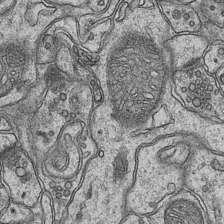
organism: Mouse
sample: CA1 Hippocampus